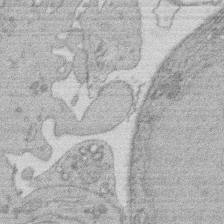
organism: Rat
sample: Salivary granule